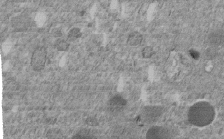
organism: C. elegans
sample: C. elegans embryo early stage